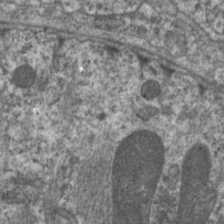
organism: C. elegans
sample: Pharynx